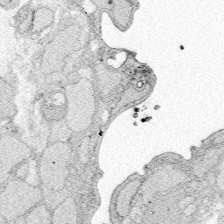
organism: Zebrafish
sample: Whole-Brain